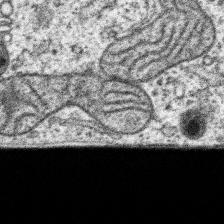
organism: Human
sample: HeLa cells